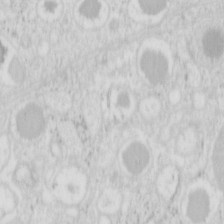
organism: Mouse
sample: Pancreas